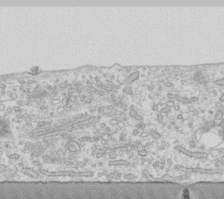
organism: Human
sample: Fibroblast cells